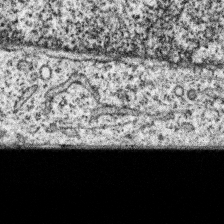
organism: Human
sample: HeLa cells